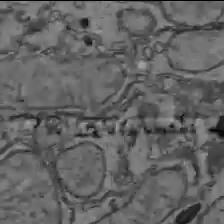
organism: C57BL Mouse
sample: Liver